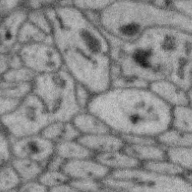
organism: Zebra finch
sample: Brain